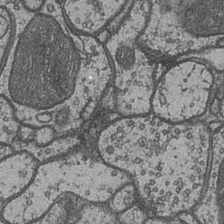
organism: Drosophila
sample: Optic medulla